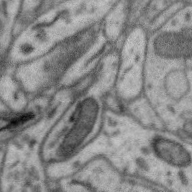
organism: Zebra finch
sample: Brain